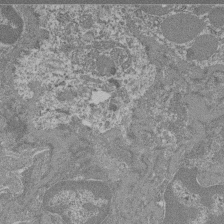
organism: Mouse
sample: Glomerulus